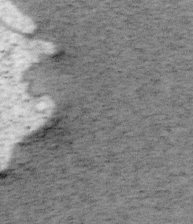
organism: Mouse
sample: OT-I killer T cells with ID8 ovarian cancer cells